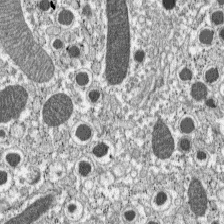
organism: C57BL Mouse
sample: Pancreatic islet